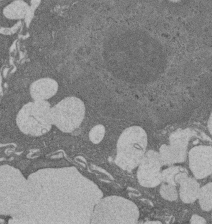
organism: Rat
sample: Salivary granule